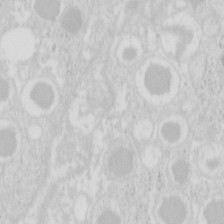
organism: Mouse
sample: Pancreas